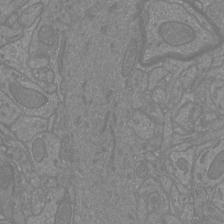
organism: Mouse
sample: Cortical neurons